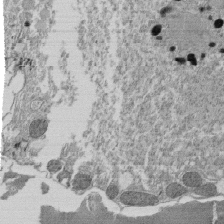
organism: Tetrahymena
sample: Cilia in tetrahymena